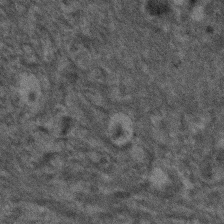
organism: Human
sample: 1205lu cells